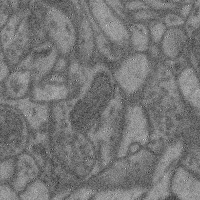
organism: Mouse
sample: Cerebral cortex